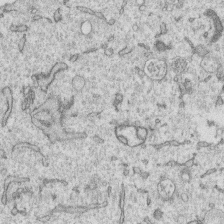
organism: Human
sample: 1205lu cells